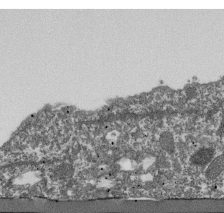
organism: Dictyostelium discoideum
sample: Dictyostelium multivesicular bodies